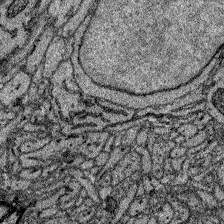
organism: Zebrafish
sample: Larval olfactory bulb